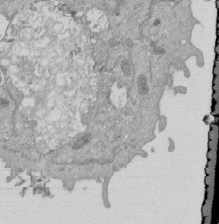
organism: Mouse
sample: ED-1 cell nuclei; centrioles